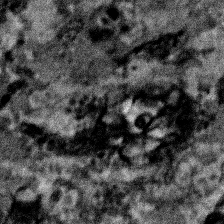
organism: Human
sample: Mitochondria in HCT116 cells